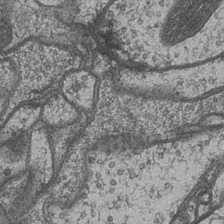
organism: Drosophila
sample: Optic medulla